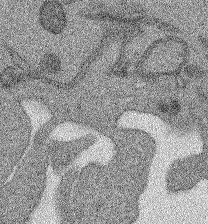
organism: Human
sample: HeLa cells